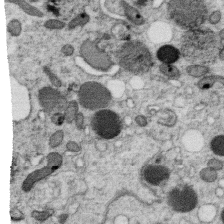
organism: C. elegans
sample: C. elegans oocyte; sperm cells